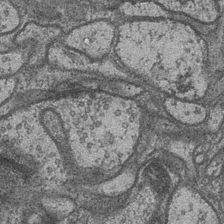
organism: Drosophila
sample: Optic medulla